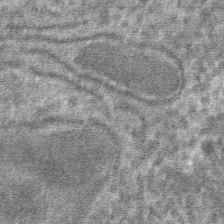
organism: Mouse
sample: Mouse hepatocytes